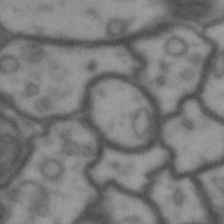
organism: Drosophila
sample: Brain